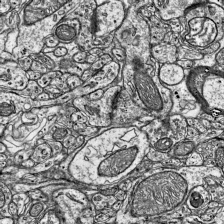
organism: Mouse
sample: Visual Cortex